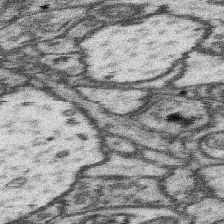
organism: Mouse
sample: Somatosensory cortex neuropil